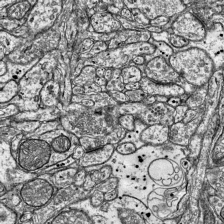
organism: Mouse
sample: Visual Cortex